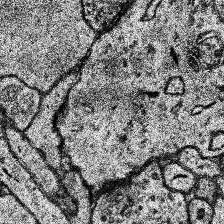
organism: Human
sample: Temporal Lobe